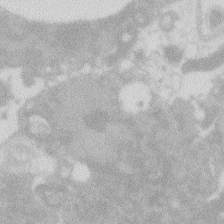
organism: Zebrafish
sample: Macrophage